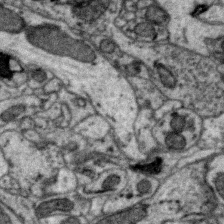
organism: Zebra finch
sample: Brain